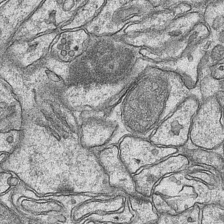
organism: Mouse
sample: CA1 Hippocampus